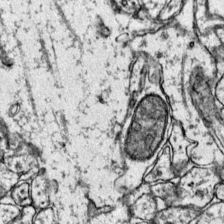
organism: Mouse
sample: Primary visual cortex